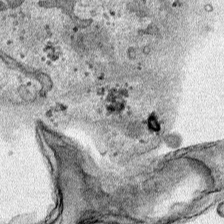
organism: Human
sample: Mitochondria in HCT116 cells